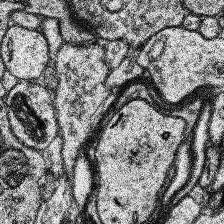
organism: Human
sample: Temporal Lobe